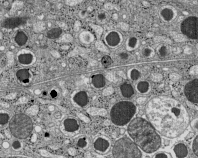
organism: C57BL Mouse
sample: Pancreatic islet